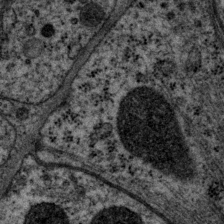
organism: P. pacificus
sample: Pharynx